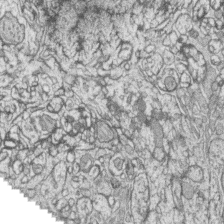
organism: Zebrafish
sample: synaptic ribbons in rod cells and cone cells